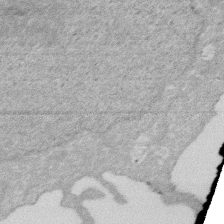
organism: Human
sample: HIV infected U937 cells